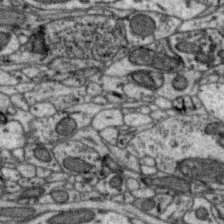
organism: Zebra finch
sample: Brain